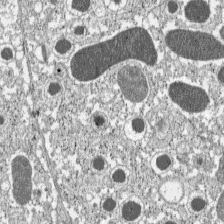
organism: C57BL Mouse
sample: Pancreatic islet